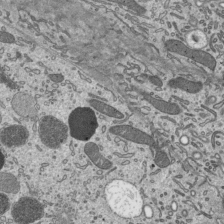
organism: Mouse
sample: Mouse epididymis efferent ductule cilia